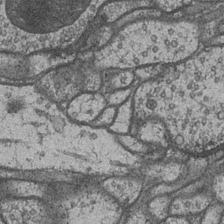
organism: Drosophila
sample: Optic medulla